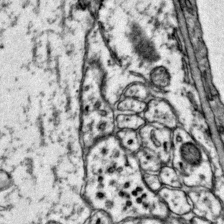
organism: Mouse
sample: Primary visual cortex